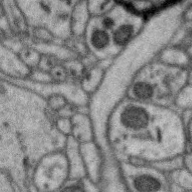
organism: Zebra finch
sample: Brain